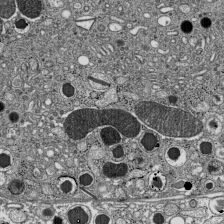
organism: C57BL Mouse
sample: Pancreatic islet